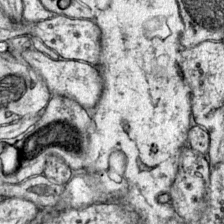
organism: Mouse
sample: Primary visual cortex